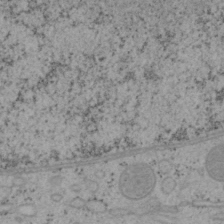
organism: Human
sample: HeLa cells